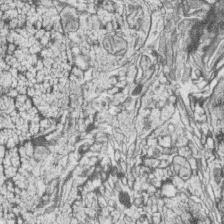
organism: Zebrafish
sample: synaptic ribbons in rod cells and cone cells